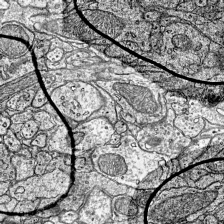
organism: Mouse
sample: Visual Cortex